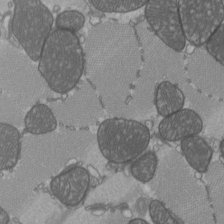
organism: C57BL Mouse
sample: Heart